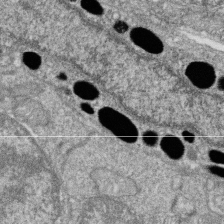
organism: Zebrafish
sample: Cilia; retinal pigment epithelium